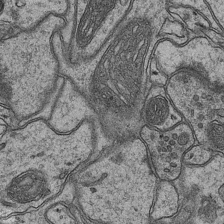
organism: Mouse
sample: CA1 Hippocampus